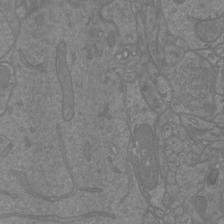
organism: Mouse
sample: Cortical neurons